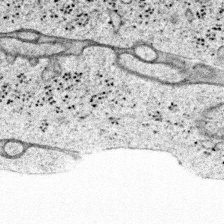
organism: Human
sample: HeLa cells